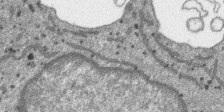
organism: Human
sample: Lung epithelial cells infected with SARS-CoV-2